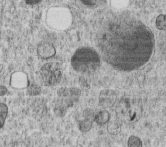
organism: C. elegans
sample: C. elegans embryo early stage